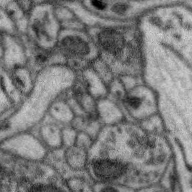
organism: Zebra finch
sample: Brain